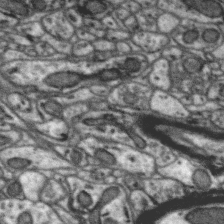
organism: Zebra finch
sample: Brain